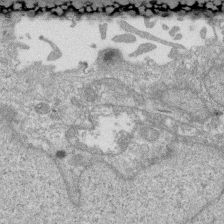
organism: Human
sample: HeLa cell HIV synapse